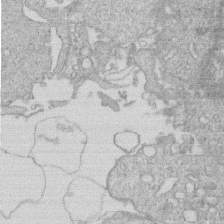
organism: Human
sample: Macrophage cells